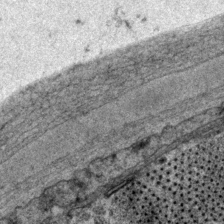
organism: P. pacificus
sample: Pharynx